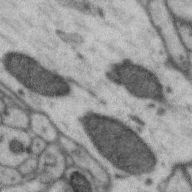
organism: Zebra finch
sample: Brain